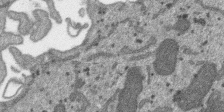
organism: Human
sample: Lung epithelial cells infected with SARS-CoV-2